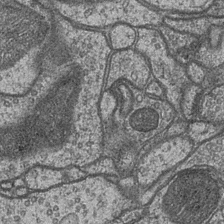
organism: Drosophila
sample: Optic medulla